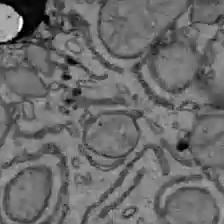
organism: C57BL Mouse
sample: Liver